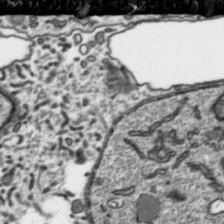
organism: Toxoplasma gondii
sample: Parasites in a vacuole inside a host cell